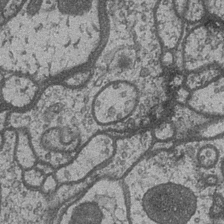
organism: Drosophila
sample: Optic medulla